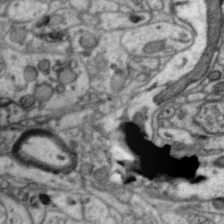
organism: Zebra finch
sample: Brain